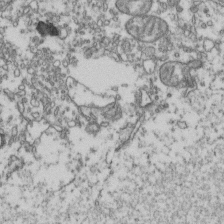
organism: Human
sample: Activated Jurkat CD4+ T cells